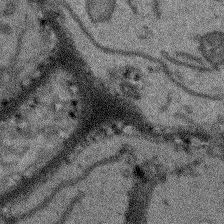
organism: Arabidopsis thaliana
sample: Root tip